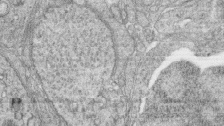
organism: Zebrafish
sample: synaptic ribbons in rod cells and cone cells